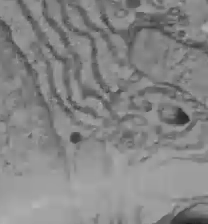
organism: C57BL Mouse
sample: Liver